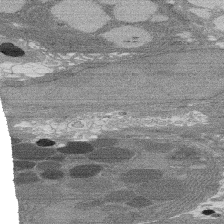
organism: Rat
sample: Salivary granule